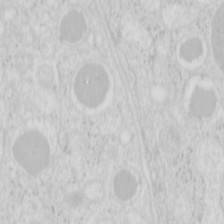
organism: Mouse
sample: Pancreas